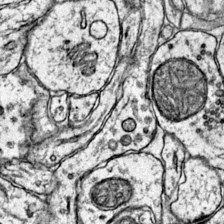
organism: Mouse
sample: Primary visual cortex